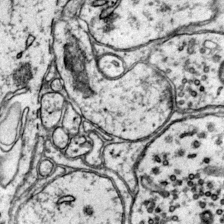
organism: Mouse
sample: Primary visual cortex